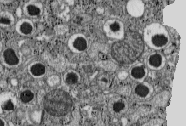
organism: C57BL Mouse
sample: Pancreatic islet